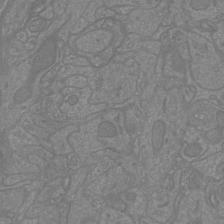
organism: Mouse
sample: Cortical neurons